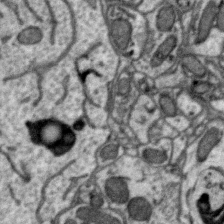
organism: Zebra finch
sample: Brain